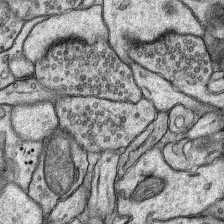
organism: Rat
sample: Hippocampus